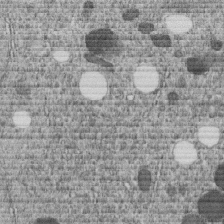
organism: C. elegans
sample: C. elegans embryo early stage